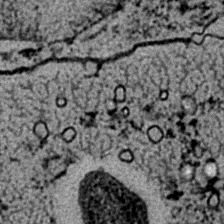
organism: C. elegans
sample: C. elegans embryo